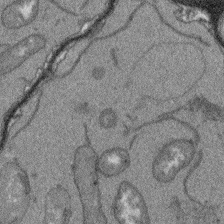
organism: Arabidopsis thaliana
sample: Root tip